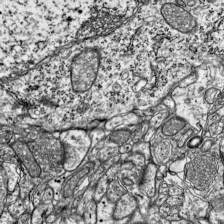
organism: Mouse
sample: Visual Cortex